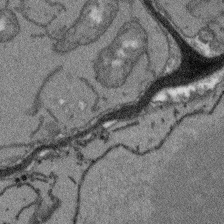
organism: Arabidopsis thaliana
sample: Root tip